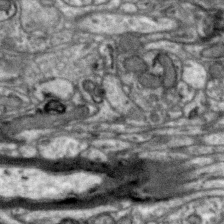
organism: Zebra finch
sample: Brain